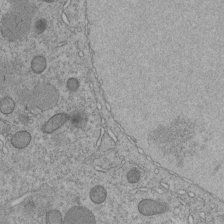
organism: C. elegans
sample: C. elegans embryo early stage